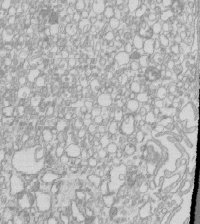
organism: Mouse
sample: Macrophages